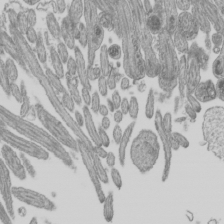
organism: Mouse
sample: Cilia; mouse epididymis